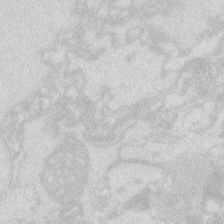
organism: Zebrafish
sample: Macrophage